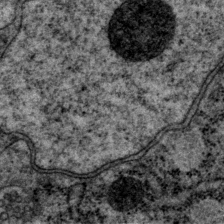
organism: P. pacificus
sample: Pharynx